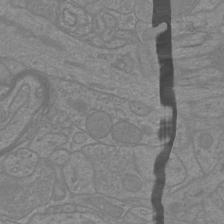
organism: Mouse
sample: Cortical neurons